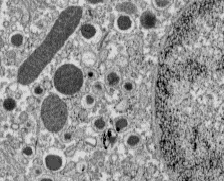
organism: C57BL Mouse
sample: Pancreatic islet